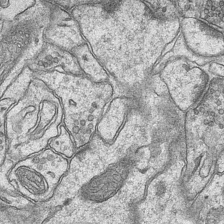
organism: Mouse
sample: CA1 Hippocampus